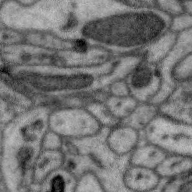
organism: Zebra finch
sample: Brain